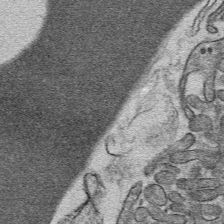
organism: Mouse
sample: Mouse hepatocytes